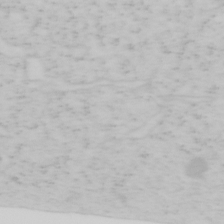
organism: Mouse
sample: OT-I killer T cells with ID8 ovarian cancer cells